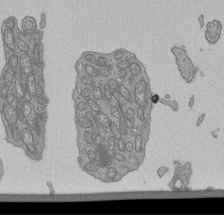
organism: Human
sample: Retinal organoid Rod and Cone cells